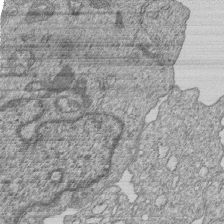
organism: Human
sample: MDA-MB-231 cells